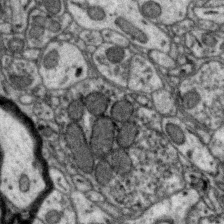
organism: Zebra finch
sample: Brain